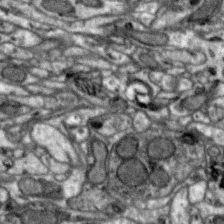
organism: Zebra finch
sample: Brain